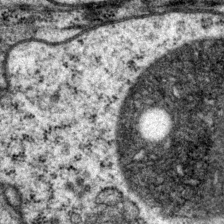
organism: P. pacificus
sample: Pharynx